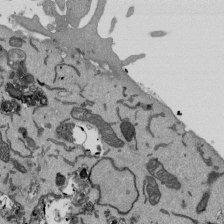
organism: Mouse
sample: ED-1 cell nuclei; centrioles